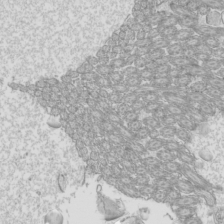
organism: Mouse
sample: Cilia; mouse epididymis